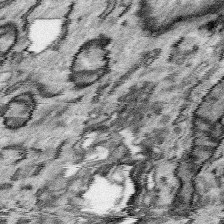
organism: Human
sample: HeLa cells